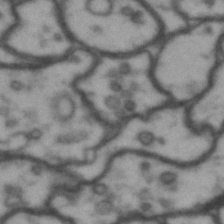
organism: Drosophila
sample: Brain